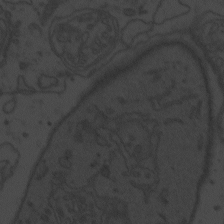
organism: Zebrafish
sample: Macrophage infected with Toxoplasma gondii